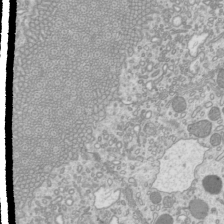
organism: Mouse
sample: Cilia; mouse epididymis